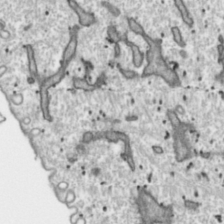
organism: Toxoplasma gondii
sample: Parasites in a vacuole inside a host cell